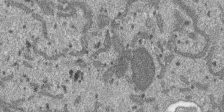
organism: Human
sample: Lung epithelial cells infected with SARS-CoV-2